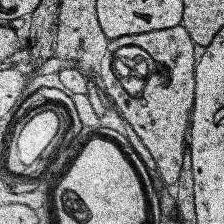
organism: Human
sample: Temporal Lobe